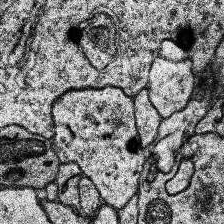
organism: Human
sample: Temporal Lobe